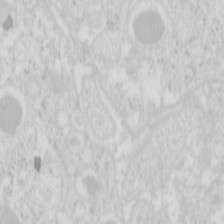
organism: Mouse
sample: Pancreas